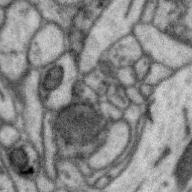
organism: Zebra finch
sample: Brain